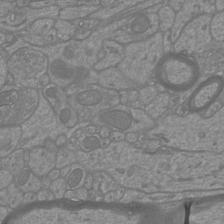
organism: Mouse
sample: Cortical neurons